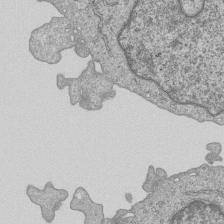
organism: Human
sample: MDA-MB-231 cells